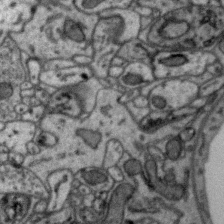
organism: Zebra finch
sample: Brain